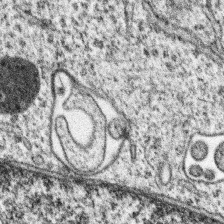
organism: Human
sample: HeLa cells